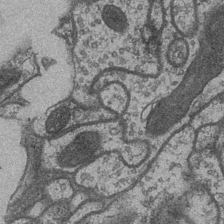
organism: Drosophila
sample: Optic medulla